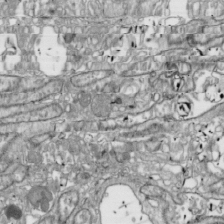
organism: Drosophila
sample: Cell division; meiosis; drosophila spermatocytes